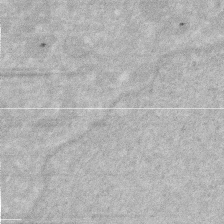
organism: Human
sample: HIV infected U937 cells